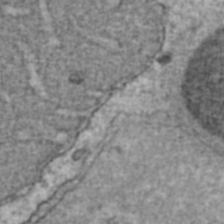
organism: Human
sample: Blood